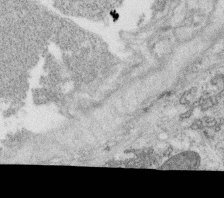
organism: C. elegans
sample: C. elegans oocyte; sperm cells